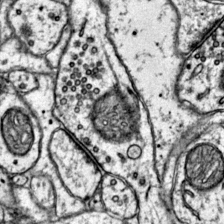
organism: Mouse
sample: Primary visual cortex